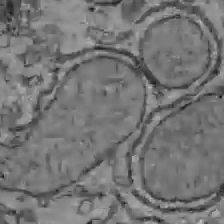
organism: C57BL Mouse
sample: Liver